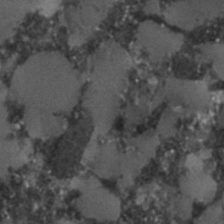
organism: C. elegans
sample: C. elegans embryo